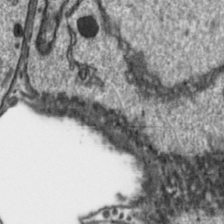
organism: Toxoplasma gondii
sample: Parasites in a vacuole inside a host cell